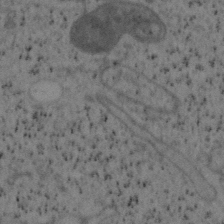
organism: Human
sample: HeLa cells